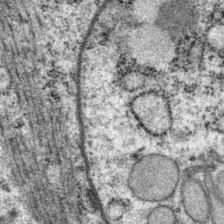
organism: P. pacificus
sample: Pharynx